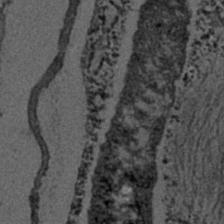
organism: C. elegans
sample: C. elegans embryo